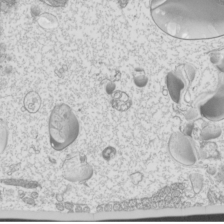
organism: Mouse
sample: Cilia; mouse epididymis